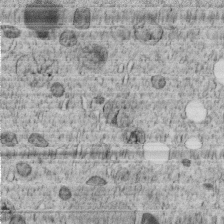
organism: C. elegans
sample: C. elegans embryo early stage